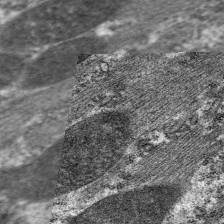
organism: C. elegans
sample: Pharynx